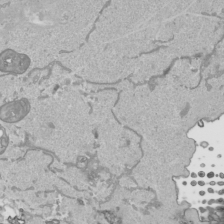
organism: Human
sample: Mitochondria in HCT116 cells